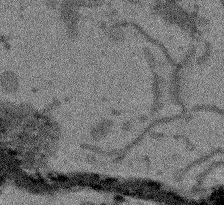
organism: Arabidopsis thaliana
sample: Root tip